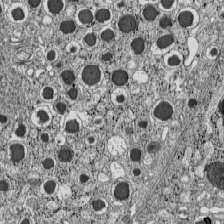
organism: C57BL Mouse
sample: Pancreatic islet